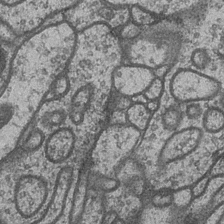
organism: Drosophila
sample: Optic medulla